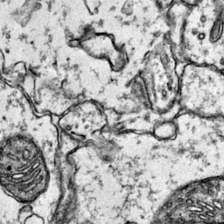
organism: Mouse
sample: Primary visual cortex